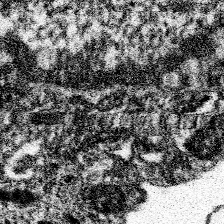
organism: Spongilla lacustris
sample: Neuroid cell